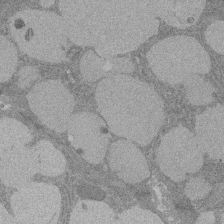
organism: Rat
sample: Salivary granule